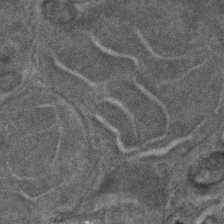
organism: C. elegans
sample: C. elegans embryo